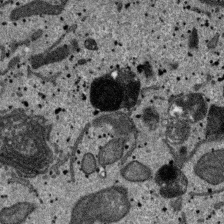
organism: Human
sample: Lung epithelial cells, uninfected (mock) control